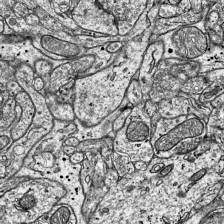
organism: Mouse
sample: Visual Cortex